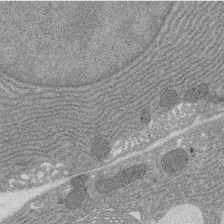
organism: Rat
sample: Salivary granule